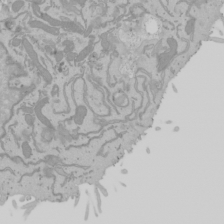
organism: Mouse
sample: Cancer cell death in ED-1 cells